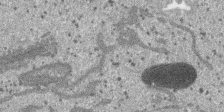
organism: Human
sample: Lung epithelial cells infected with SARS-CoV-2